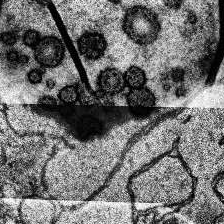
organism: Human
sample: Temporal Lobe